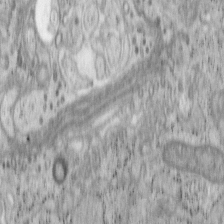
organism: Human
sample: HeLa cells